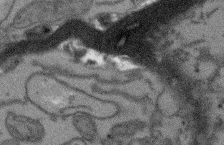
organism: Arabidopsis thaliana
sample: Root tip